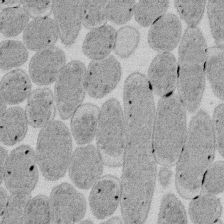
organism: E. coli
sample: Bacterial nucleoid